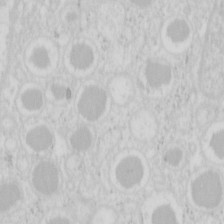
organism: Mouse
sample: Pancreas